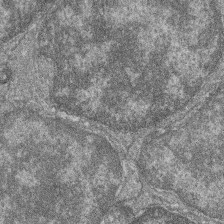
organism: Zebrafish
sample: Cilia; retinal pigment epithelium